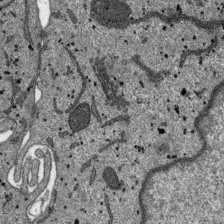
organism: Human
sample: Lung epithelial cells, uninfected (mock) control